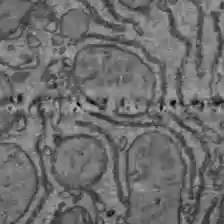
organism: C57BL Mouse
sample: Liver